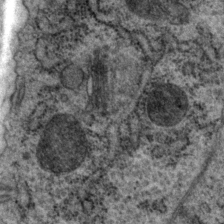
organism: P. pacificus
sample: Pharynx